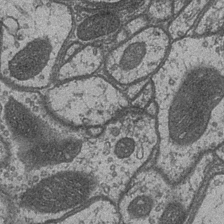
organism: Drosophila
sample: Optic medulla